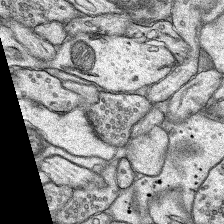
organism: Rat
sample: Hippocampus